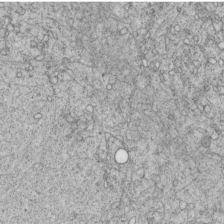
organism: C. elegans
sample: C. elegans embryo early stage